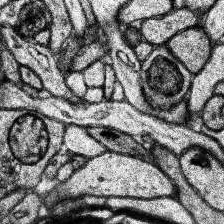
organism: Human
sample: Temporal Lobe